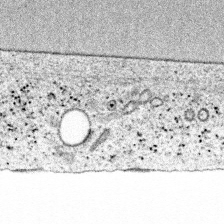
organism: Human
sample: HeLa cells